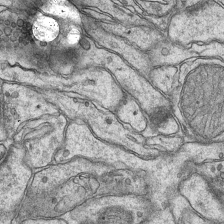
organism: Mouse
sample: CA1 Hippocampus